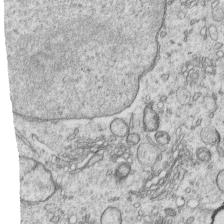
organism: Human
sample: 1205lu cells